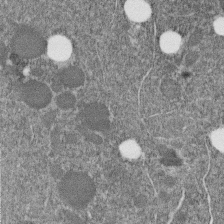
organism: C. elegans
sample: C. elegans embryo early stage